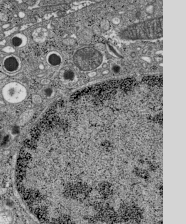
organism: C57BL Mouse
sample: Pancreatic islet